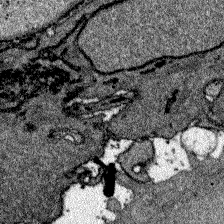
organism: Zebrafish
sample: Larval olfactory bulb